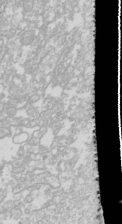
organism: Drosophila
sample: Cell division; meiosis; drosophila spermatocytes